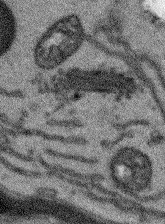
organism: Arabidopsis thaliana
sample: Root tip